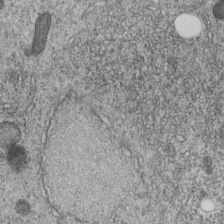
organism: C. elegans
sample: C. elegans embryo early stage